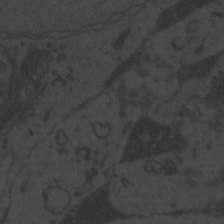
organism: Zebrafish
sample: Macrophage infected with Toxoplasma gondii